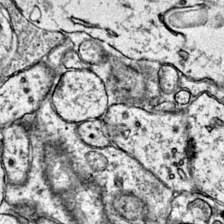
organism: Mouse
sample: Primary visual cortex